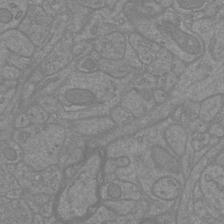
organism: Mouse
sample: Cortical neurons